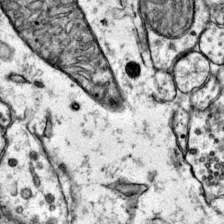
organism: Mouse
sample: Primary visual cortex